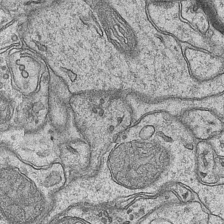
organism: Mouse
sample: CA1 Hippocampus